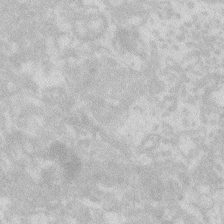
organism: Zebrafish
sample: Macrophage